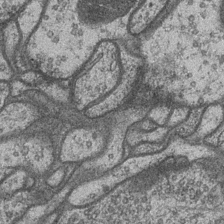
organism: Drosophila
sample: Optic medulla